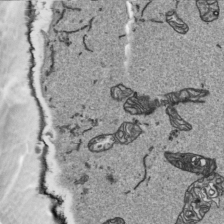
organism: Human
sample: Mitochondria in HCT116 cells